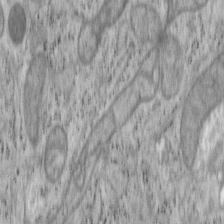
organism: Human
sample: HeLa cells